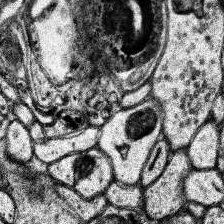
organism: Human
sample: Temporal Lobe